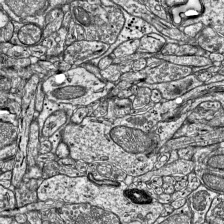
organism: Mouse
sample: Visual Cortex